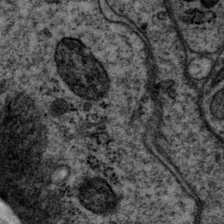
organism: P. pacificus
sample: Pharynx